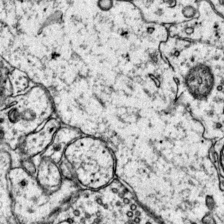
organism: Mouse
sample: Primary visual cortex